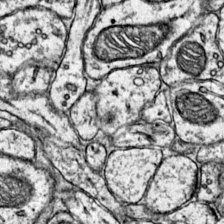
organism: Mouse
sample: Primary visual cortex